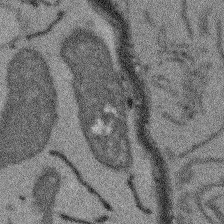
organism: Arabidopsis thaliana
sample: Root tip